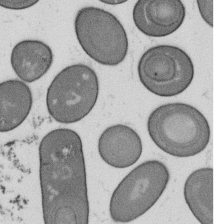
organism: B. subtilis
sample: Bacterial spore